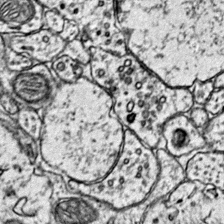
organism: Mouse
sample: Primary visual cortex